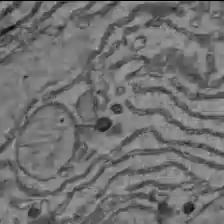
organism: C57BL Mouse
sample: Liver